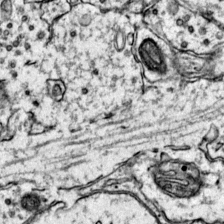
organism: Mouse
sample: Primary visual cortex